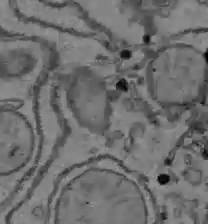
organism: C57BL Mouse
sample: Liver